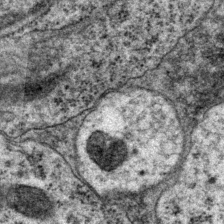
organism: P. pacificus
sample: Pharynx